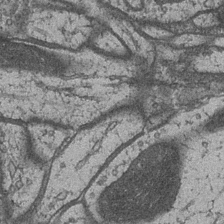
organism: Drosophila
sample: Optic medulla